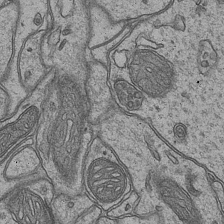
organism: Mouse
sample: CA1 Hippocampus